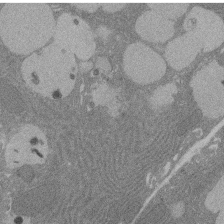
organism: Rat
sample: Salivary granule